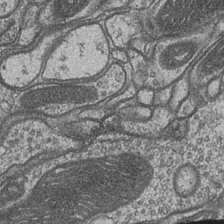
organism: Drosophila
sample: Optic medulla